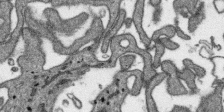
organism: Human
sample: Lung epithelial cells, uninfected (mock) control